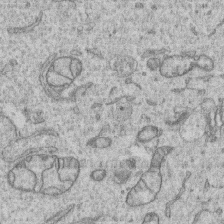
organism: Human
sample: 1205lu cells